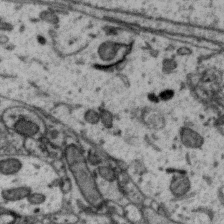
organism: Zebra finch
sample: Brain